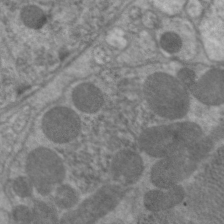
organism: C. elegans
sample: Pharynx